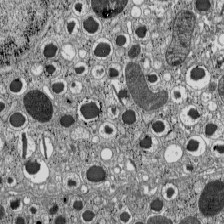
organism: C57BL Mouse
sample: Pancreatic islet